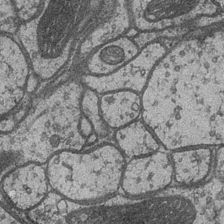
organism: Drosophila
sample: Optic medulla